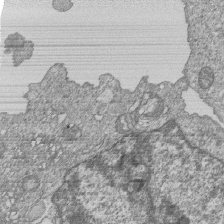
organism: Human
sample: MDA-MB-231 cells